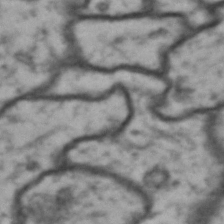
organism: Drosophila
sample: Brain